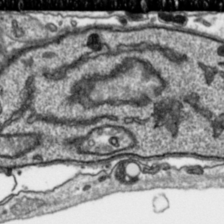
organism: Toxoplasma gondii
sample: Parasites in a vacuole inside a host cell